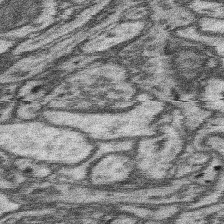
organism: Mouse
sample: Somatosensory cortex neuropil